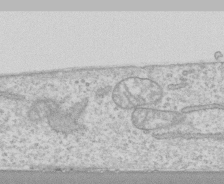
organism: Human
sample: CRL-1474